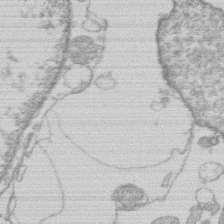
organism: Human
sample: Macrophage cells